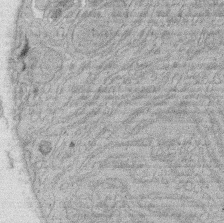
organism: Rat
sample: Salivary granule